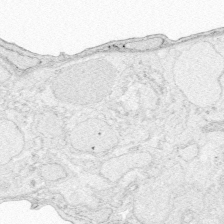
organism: Zebrafish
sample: Whole-Brain